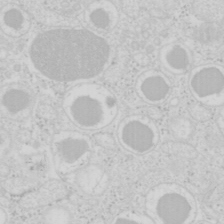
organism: Mouse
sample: Pancreas